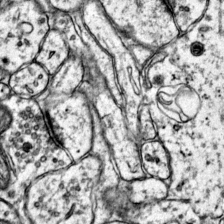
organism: Mouse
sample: Primary visual cortex